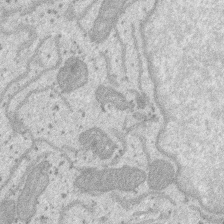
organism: Human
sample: Lung epithelial cells infected with SARS-CoV-2